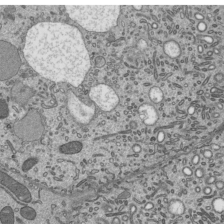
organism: Mouse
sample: Mouse epididymis efferent ductule cilia